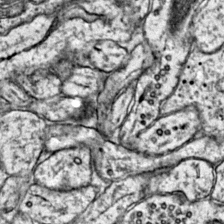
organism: Mouse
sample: Primary visual cortex